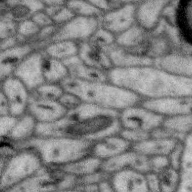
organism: Zebra finch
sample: Brain